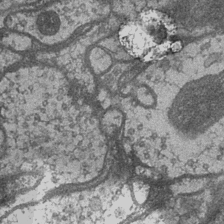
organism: Drosophila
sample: Optic medulla